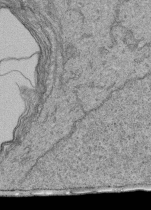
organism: Human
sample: Retinal organoid Rod and Cone cells